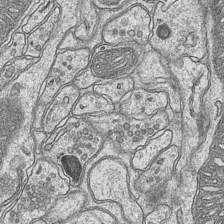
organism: Mouse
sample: CA1 Hippocampus